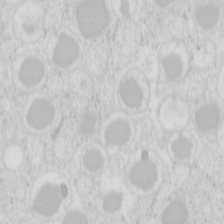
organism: Mouse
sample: Pancreas